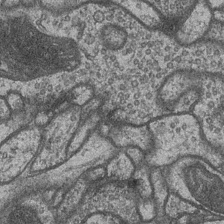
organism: Drosophila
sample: Optic medulla